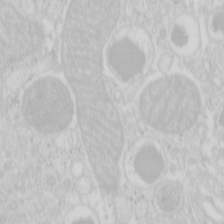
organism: Mouse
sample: Pancreas